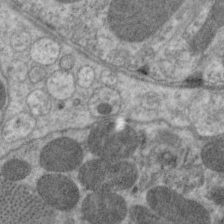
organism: C. elegans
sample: Pharynx